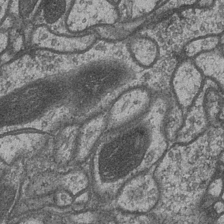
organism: Drosophila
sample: Optic medulla